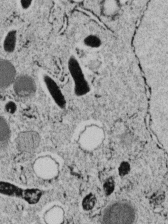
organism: C. elegans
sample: C. elegans embryo early stage